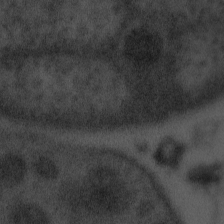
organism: Tuwongella immobilis